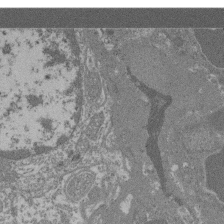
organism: Mouse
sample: Glomerulus